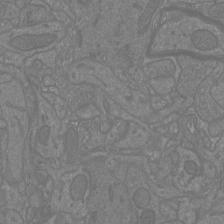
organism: Mouse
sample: Cortical neurons